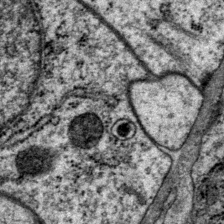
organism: P. pacificus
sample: Pharynx